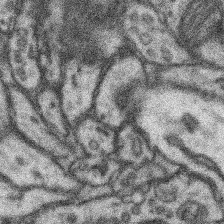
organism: Mouse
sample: Somatosensory cortex neuropil